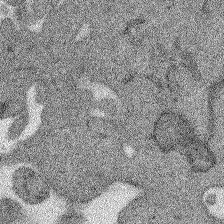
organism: Human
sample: HeLa cells